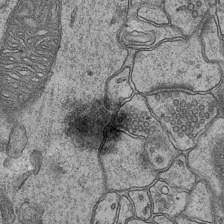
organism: Mouse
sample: CA1 Hippocampus